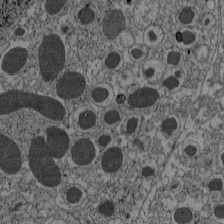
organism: C57BL Mouse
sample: Pancreatic islet